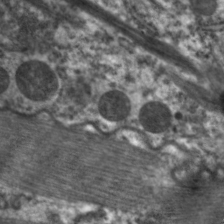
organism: C. elegans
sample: Pharynx